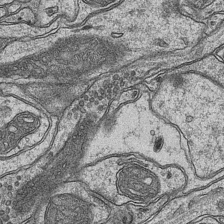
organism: Mouse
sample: CA1 Hippocampus